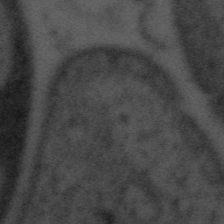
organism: Tuwongella immobilis